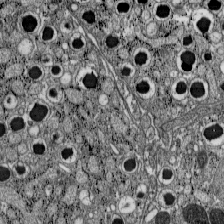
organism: C57BL Mouse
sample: Pancreatic islet